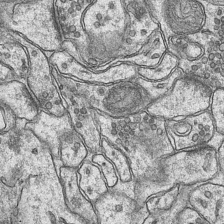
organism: Mouse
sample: CA1 Hippocampus